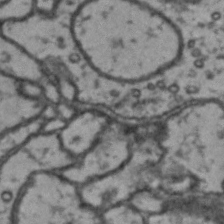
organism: Drosophila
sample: Brain